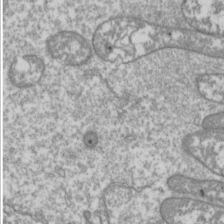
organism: Drosophila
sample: Cell division; meiosis; drosophila spermatocytes